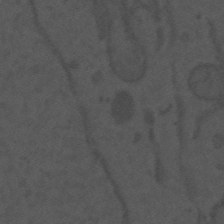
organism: Mouse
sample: Suprachiasmatic nucleus